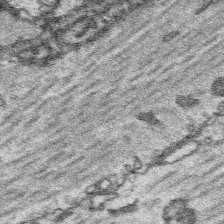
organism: Platynereis dumerilii